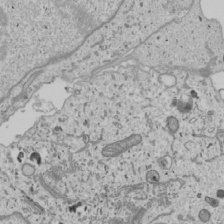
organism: Human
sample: Mitochondria in U2OS cells